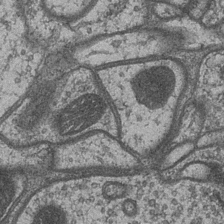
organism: Drosophila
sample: Optic medulla